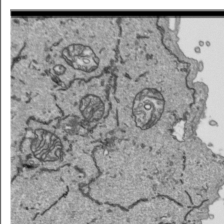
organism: Human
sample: Mitochondria in HCT116 cells